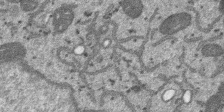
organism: Human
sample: Lung epithelial cells infected with SARS-CoV-2